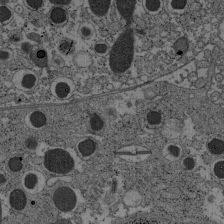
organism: C57BL Mouse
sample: Pancreatic islet